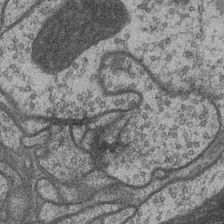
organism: Drosophila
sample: Optic medulla